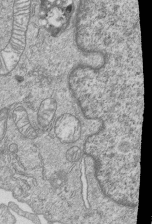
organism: Human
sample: MDA-MB-231 cells